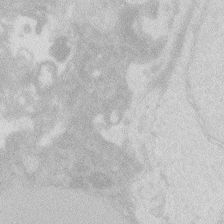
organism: Zebrafish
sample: Macrophage